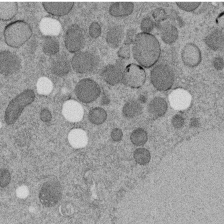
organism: C. elegans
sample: C. elegans embryo early stage